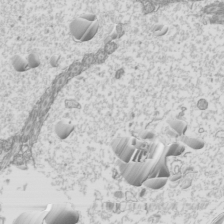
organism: Mouse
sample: Cilia; mouse epididymis